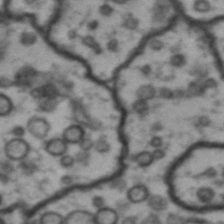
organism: Drosophila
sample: Brain